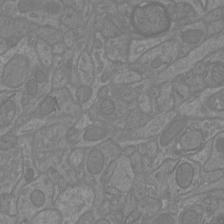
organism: Mouse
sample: Cortical neurons